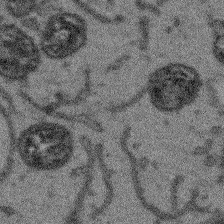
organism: Arabidopsis thaliana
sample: Root tip